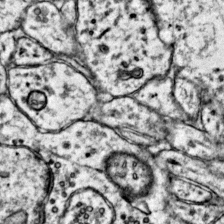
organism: Mouse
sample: Primary visual cortex